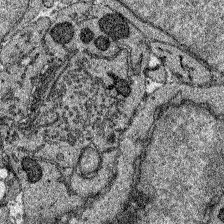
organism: Zebrafish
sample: Larval olfactory bulb